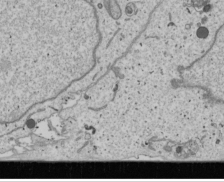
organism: Human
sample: Mitochondria in U2OS cells